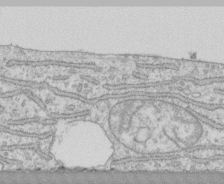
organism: Human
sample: CRL-1474